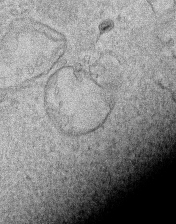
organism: Human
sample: Mitochondria in HCT116 cells